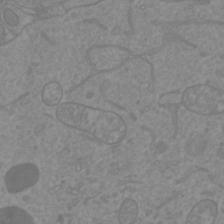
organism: Mouse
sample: Cortical neurons